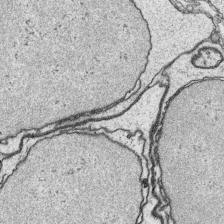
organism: Platynereis dumerilii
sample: Parapodia